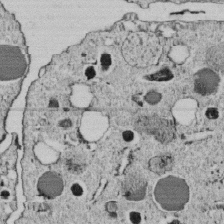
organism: C. elegans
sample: C. elegans embryo early stage